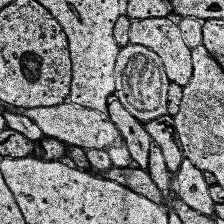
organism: Human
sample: Temporal Lobe